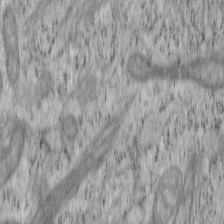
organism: Human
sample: HeLa cells